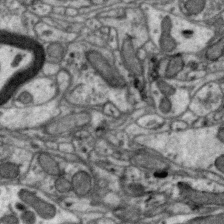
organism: Zebra finch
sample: Brain